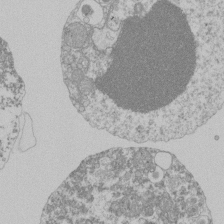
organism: Mouse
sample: Activated Pmel transgenic CD8+ T Cells